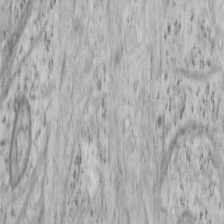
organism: Human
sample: HeLa cells